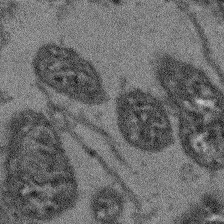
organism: Arabidopsis thaliana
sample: Root tip